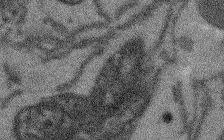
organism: Arabidopsis thaliana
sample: Root tip